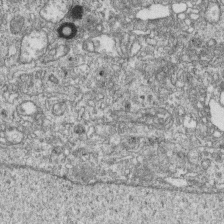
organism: Human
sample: HeLa cell HIV synapse